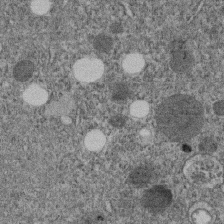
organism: C. elegans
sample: C. elegans embryo early stage